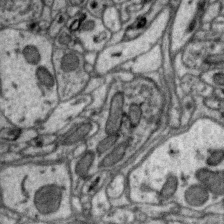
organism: Zebra finch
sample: Brain